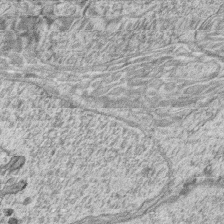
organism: Zebrafish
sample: synaptic ribbons in rod cells and cone cells